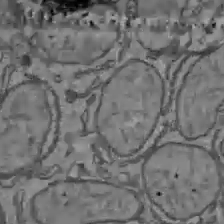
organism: C57BL Mouse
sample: Liver